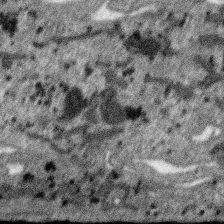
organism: Human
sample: Lung epithelial cells infected with SARS-CoV-2